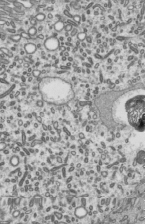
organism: Mouse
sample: Mouse epididymis efferent ductule cilia